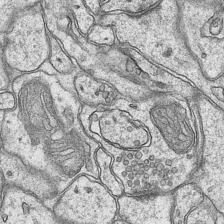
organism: Mouse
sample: CA1 Hippocampus